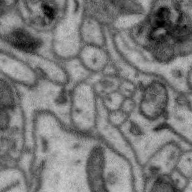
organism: Zebra finch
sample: Brain